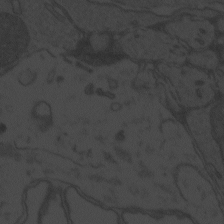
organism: Zebrafish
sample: Macrophage infected with Toxoplasma gondii